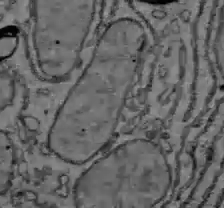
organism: C57BL Mouse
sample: Liver